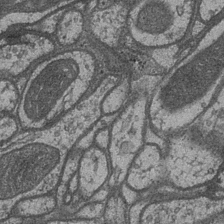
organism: Drosophila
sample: Optic medulla